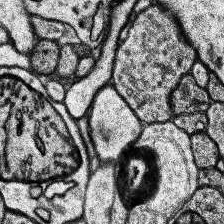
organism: Human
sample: Temporal Lobe